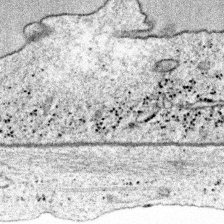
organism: Human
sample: HeLa cells